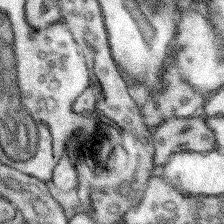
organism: Mouse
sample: Somatosensory cortex neuropil